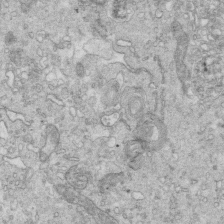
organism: Mouse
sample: Multiciliated cells